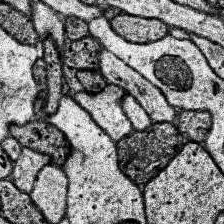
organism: Human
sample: Temporal Lobe